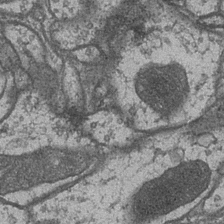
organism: Drosophila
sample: Optic medulla